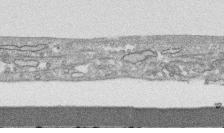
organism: Human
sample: CRL-1474